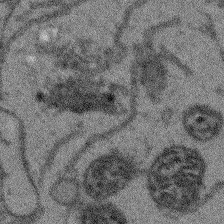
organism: Arabidopsis thaliana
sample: Root tip